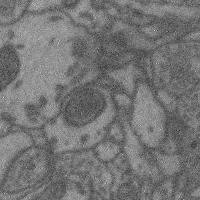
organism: Mouse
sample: Cerebral cortex